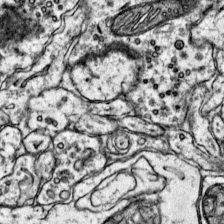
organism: Mouse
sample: Primary visual cortex